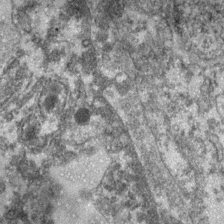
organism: Zebrafish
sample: Zebrafish embryo